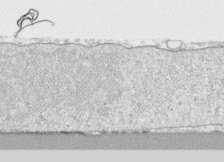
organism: Human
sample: CRL-1474